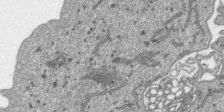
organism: Human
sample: Lung epithelial cells infected with SARS-CoV-2